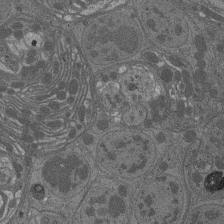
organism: Drosophila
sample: Antenna